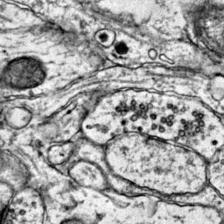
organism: Mouse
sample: Primary visual cortex